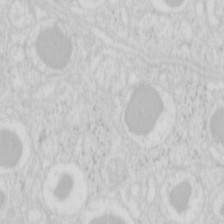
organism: Mouse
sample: Pancreas